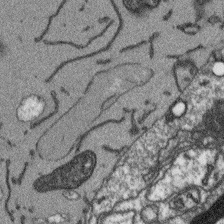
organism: Arabidopsis thaliana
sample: Root tip